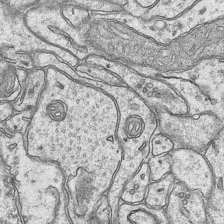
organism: Mouse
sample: CA1 Hippocampus